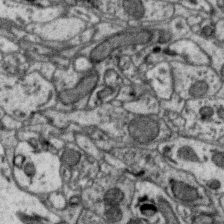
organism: Zebra finch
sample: Brain